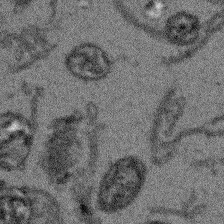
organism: Arabidopsis thaliana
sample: Root tip